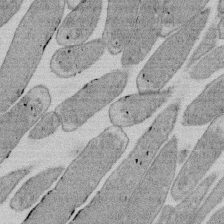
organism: E. coli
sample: Bacterial nucleoid